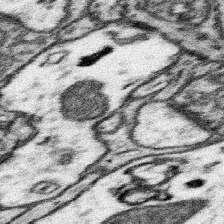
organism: Mouse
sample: Somatosensory cortex neuropil